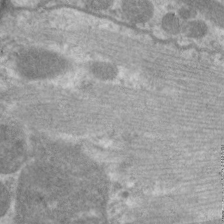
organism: C. elegans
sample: Pharynx